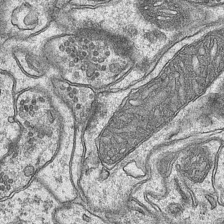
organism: Mouse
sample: CA1 Hippocampus